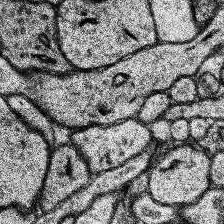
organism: Human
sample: Temporal Lobe